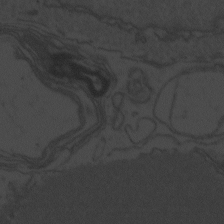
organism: Zebrafish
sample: Macrophage infected with Toxoplasma gondii